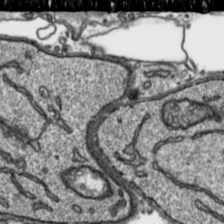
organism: Toxoplasma gondii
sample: Parasites in a vacuole inside a host cell